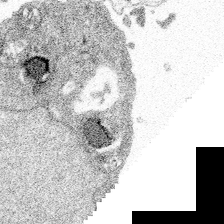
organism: Spongilla lacustris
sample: Multiple